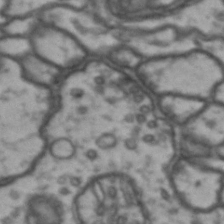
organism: Drosophila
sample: Brain